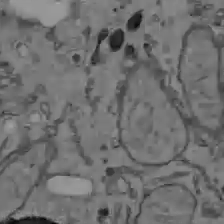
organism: C57BL Mouse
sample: Liver